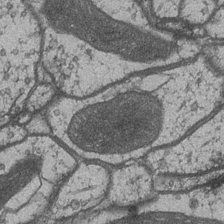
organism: Drosophila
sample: Optic medulla